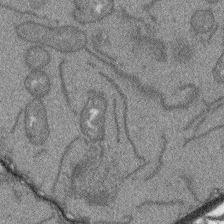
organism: Arabidopsis thaliana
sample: Root tip